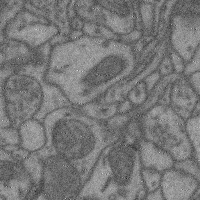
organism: Mouse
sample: Cerebral cortex